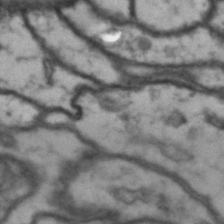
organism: Drosophila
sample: Brain